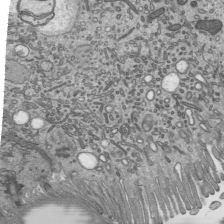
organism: Mouse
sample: Mouse epididymis efferent ductule cilia